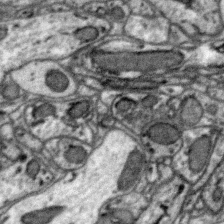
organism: Zebra finch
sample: Brain